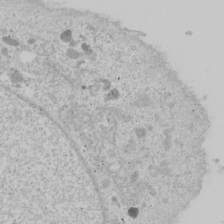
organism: Human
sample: Mitochondria in U2OS cells